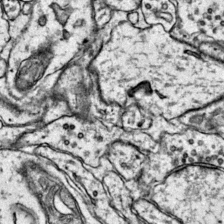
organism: Mouse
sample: Primary visual cortex